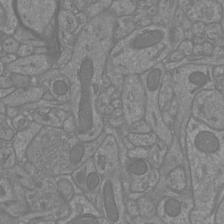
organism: Mouse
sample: Cortical neurons